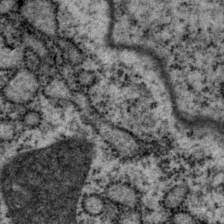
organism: P. pacificus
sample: Pharynx